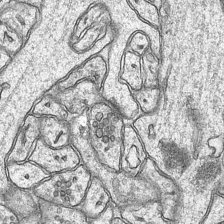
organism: Mouse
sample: CA1 Hippocampus